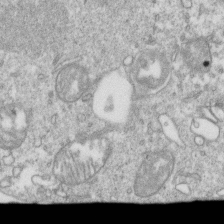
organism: Mouse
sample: Activated OT-1 CD8+ T cells